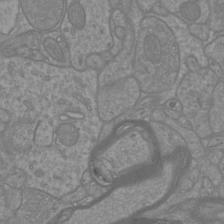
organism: Mouse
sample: Cortical neurons